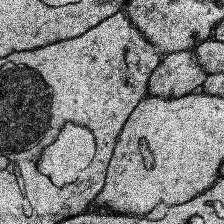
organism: Human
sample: Temporal Lobe